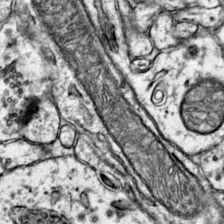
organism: Mouse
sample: Primary visual cortex